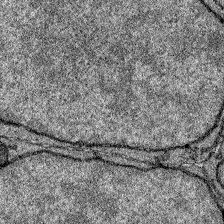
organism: Zebrafish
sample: Larval olfactory bulb